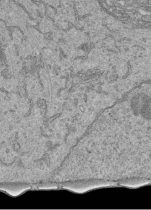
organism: Human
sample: Retinal organoid Rod and Cone cells